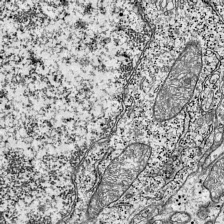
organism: Mouse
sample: Visual Cortex